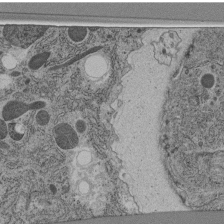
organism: C. elegans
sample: C. elegans pharynx